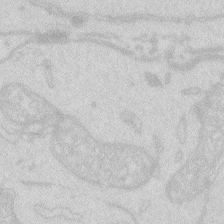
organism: Zebrafish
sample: Macrophage